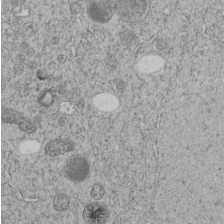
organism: C. elegans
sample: C. elegans embryo early stage